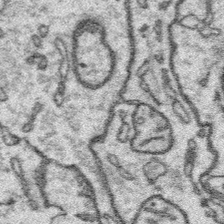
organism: Platynereis dumerilii